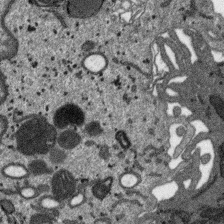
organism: Human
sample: Lung epithelial cells infected with SARS-CoV-2